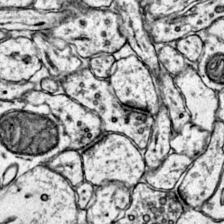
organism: Mouse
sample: Primary visual cortex